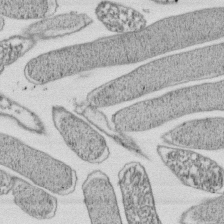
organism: E. coli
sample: Bacterial nucleoid